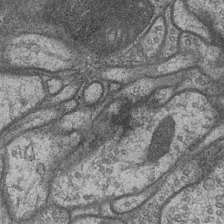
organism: Drosophila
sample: Optic medulla